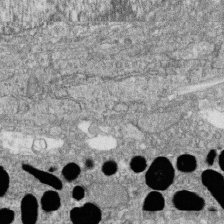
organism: Zebrafish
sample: Cilia; retinal pigment epithelium